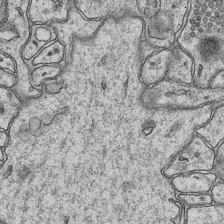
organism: Mouse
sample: CA1 Hippocampus